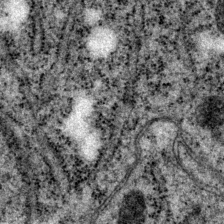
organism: P. pacificus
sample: Pharynx